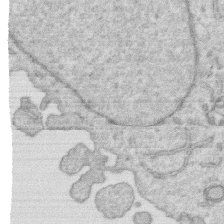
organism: Human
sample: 1205lu cells